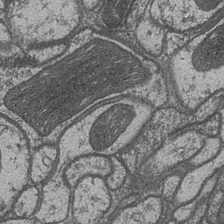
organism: Drosophila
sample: Optic medulla